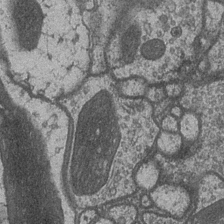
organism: Drosophila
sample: Optic medulla